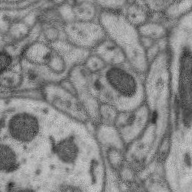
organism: Zebra finch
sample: Brain